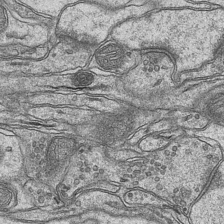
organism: Mouse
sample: CA1 Hippocampus